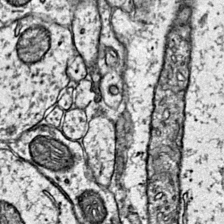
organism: Mouse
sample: Primary visual cortex